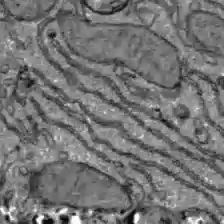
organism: C57BL Mouse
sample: Liver